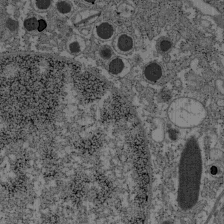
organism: C57BL Mouse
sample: Pancreatic islet